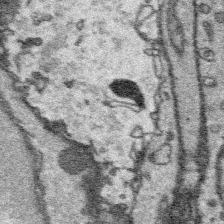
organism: Platynereis dumerilii